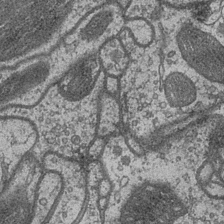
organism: Drosophila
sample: Optic medulla